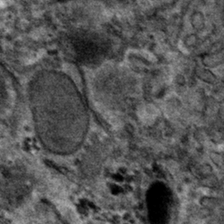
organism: Mouse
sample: Mouse hepatocytes